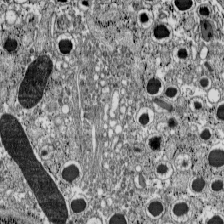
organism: C57BL Mouse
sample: Pancreatic islet